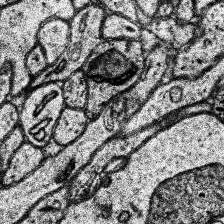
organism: Human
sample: Temporal Lobe